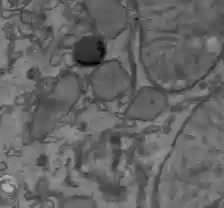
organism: C57BL Mouse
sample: Liver